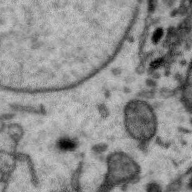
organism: Zebra finch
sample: Brain